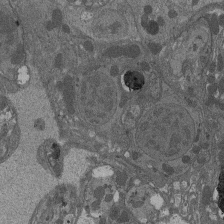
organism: Drosophila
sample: Antenna